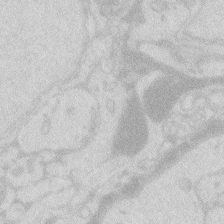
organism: Zebrafish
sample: Macrophage